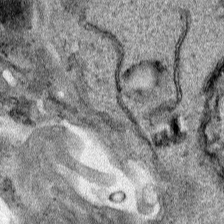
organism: Human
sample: Mitochondria in HCT116 cells